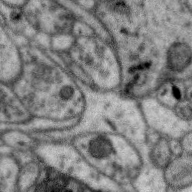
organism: Zebra finch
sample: Brain